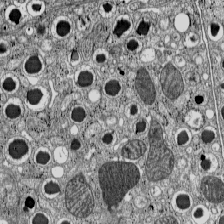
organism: C57BL Mouse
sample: Pancreatic islet